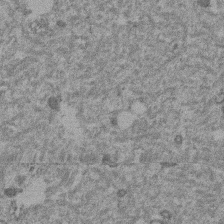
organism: Mouse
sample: Dividing mouse embryo 1 cell stage